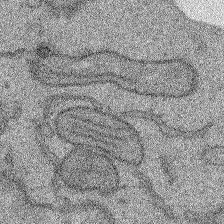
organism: Human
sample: HeLa cells